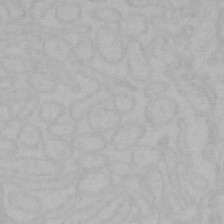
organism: Mouse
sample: Choroid plexus